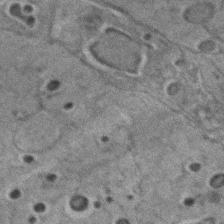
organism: C. elegans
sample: C. elegans embryo